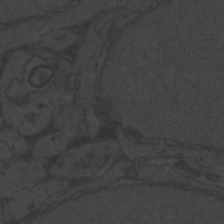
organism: Zebrafish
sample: Macrophage infected with Toxoplasma gondii